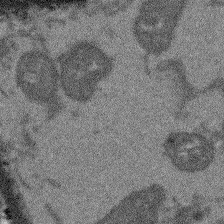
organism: Arabidopsis thaliana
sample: Root tip